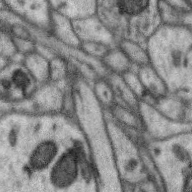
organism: Zebra finch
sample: Brain